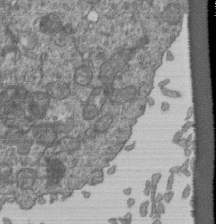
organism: Human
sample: Retinal organoid Rod and Cone cells